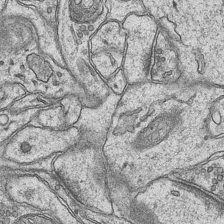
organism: Mouse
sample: CA1 Hippocampus